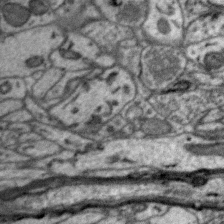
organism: Zebra finch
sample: Brain